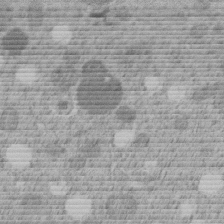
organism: C. elegans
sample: C. elegans embryo early stage